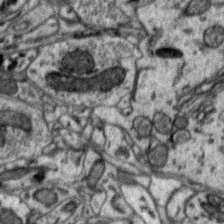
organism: Zebra finch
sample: Brain